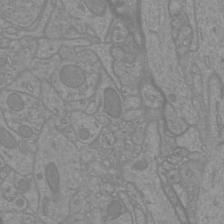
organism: Mouse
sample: Cortical neurons